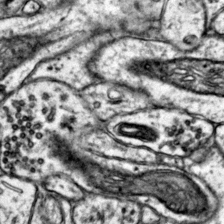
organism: Mouse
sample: Primary visual cortex